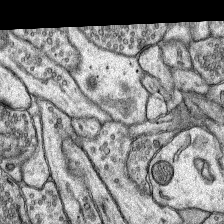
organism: Rat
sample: Hippocampus